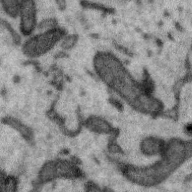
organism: Zebra finch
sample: Brain